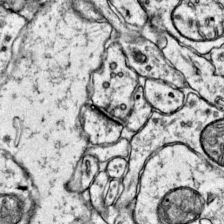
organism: Mouse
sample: Primary visual cortex